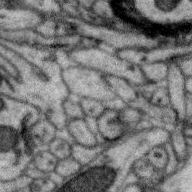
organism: Zebra finch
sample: Brain